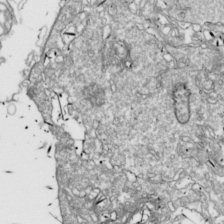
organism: Drosophila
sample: Cell division; meiosis; drosophila spermatocytes